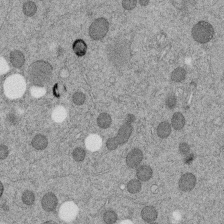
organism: C. elegans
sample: C. elegans embryo early stage